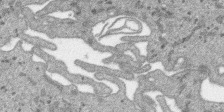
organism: Human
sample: Lung epithelial cells infected with SARS-CoV-2